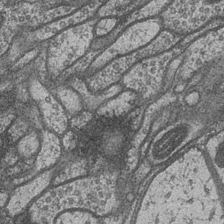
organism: Drosophila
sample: Optic medulla